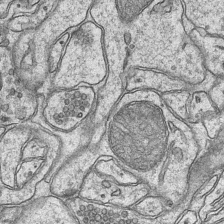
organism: Mouse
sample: CA1 Hippocampus